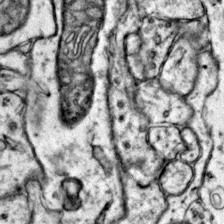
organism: Mouse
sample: Primary visual cortex